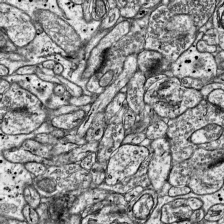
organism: Mouse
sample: Visual Cortex